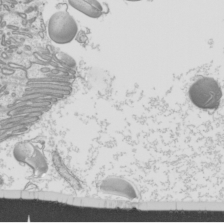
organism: Mouse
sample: Cilia; mouse epididymis